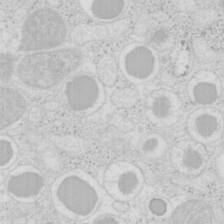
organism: Mouse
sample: Pancreas